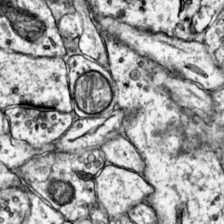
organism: Mouse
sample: Primary visual cortex